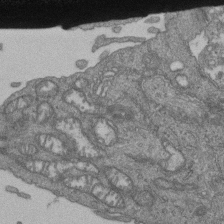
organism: Human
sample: Retinal organoid Rod and Cone cells